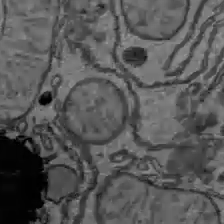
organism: C57BL Mouse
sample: Liver